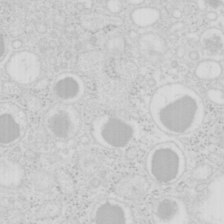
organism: Mouse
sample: Pancreas